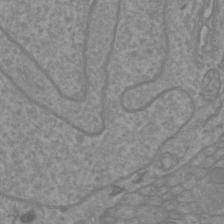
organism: Mouse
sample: Cortical neurons